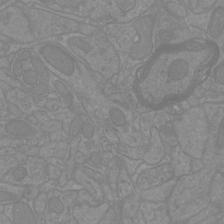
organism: Mouse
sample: Cortical neurons